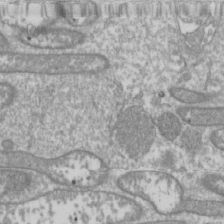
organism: Drosophila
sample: Cell division; meiosis; drosophila spermatocytes